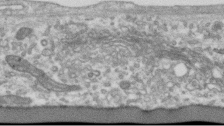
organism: Human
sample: Centriole in RPE cells